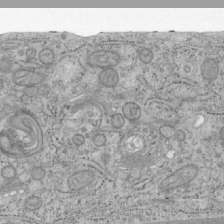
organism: Human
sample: HeLa cells